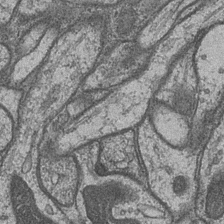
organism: Drosophila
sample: Optic medulla